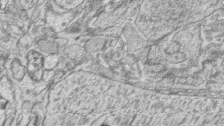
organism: Zebrafish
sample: synaptic ribbons in rod cells and cone cells